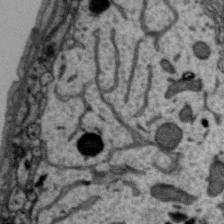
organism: Zebra finch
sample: Brain